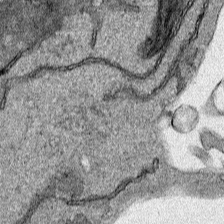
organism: Human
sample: Mitochondria in HCT116 cells